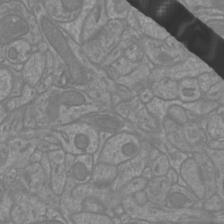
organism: Mouse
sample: Cortical neurons